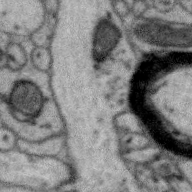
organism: Zebra finch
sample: Brain